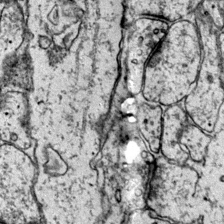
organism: Mouse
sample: Primary visual cortex